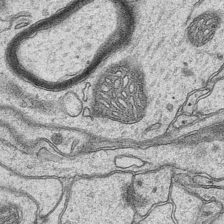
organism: Mouse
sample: CA1 Hippocampus